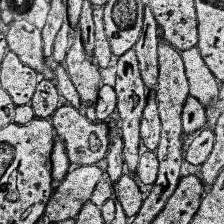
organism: Human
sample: Temporal Lobe